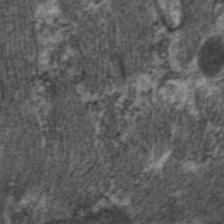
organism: C. elegans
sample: Pharynx